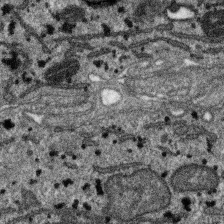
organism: Human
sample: Lung epithelial cells infected with SARS-CoV-2